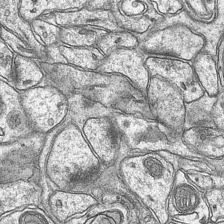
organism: Mouse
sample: CA1 Hippocampus